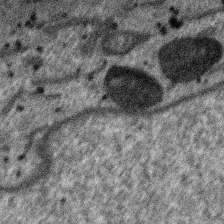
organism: Human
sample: Lung epithelial cells infected with SARS-CoV-2